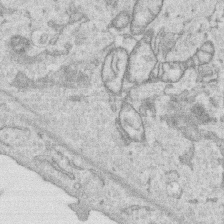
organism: Human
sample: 1205lu cells